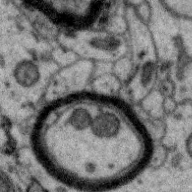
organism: Zebra finch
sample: Brain